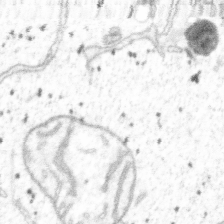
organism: Human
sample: HeLa cells